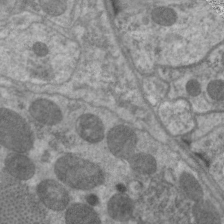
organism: C. elegans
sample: Pharynx